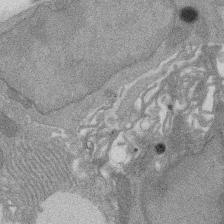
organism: Rat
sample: Salivary granule